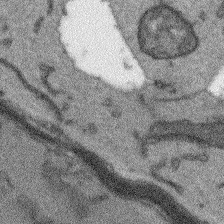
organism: Arabidopsis thaliana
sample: Root tip